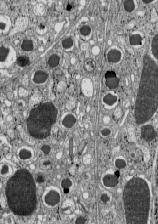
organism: C57BL Mouse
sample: Pancreatic islet